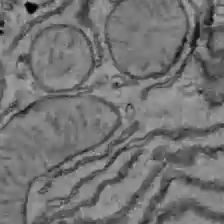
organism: C57BL Mouse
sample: Liver